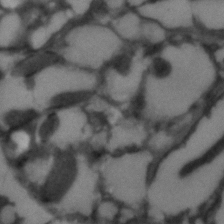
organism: C. elegans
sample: C. elegans embryo